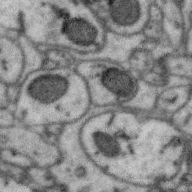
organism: Zebra finch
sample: Brain